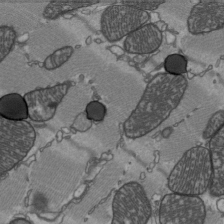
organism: C57BL Mouse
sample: Heart